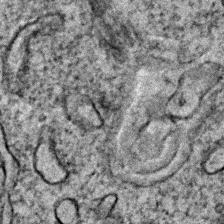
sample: Trachea